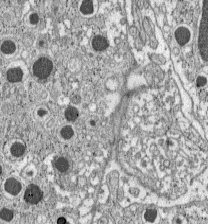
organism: C57BL Mouse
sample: Pancreatic islet